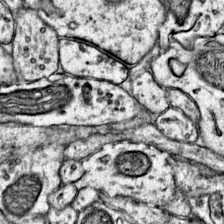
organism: Mouse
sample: Primary visual cortex